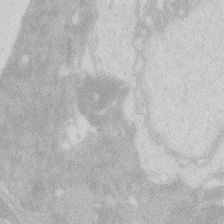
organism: Zebrafish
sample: Macrophage